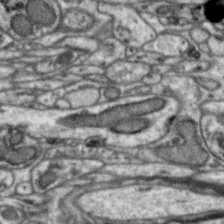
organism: Zebra finch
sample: Brain